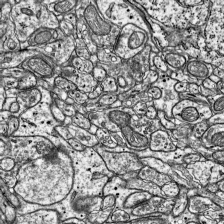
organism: Mouse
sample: Visual Cortex